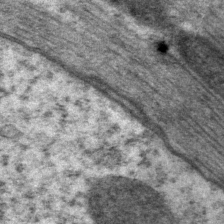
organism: P. pacificus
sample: Pharynx